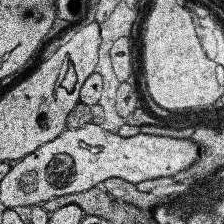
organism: Human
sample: Temporal Lobe